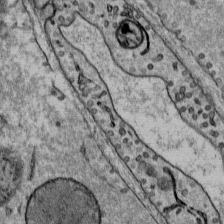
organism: Mouse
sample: Mouse Salivary gland